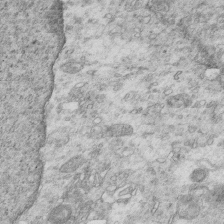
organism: Mouse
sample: Multiciliated cells